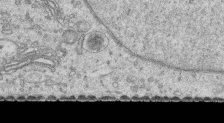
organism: Human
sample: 1205lu cells